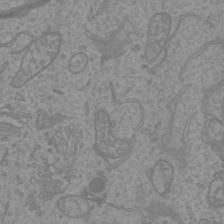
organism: Mouse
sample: Cortical neurons